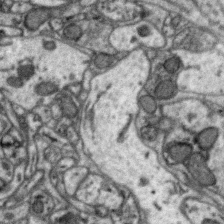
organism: Zebra finch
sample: Brain